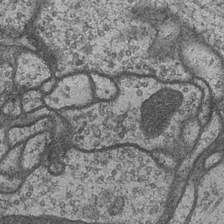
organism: Drosophila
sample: Optic medulla